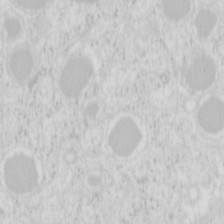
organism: Mouse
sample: Pancreas